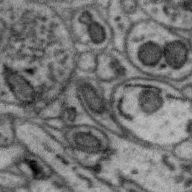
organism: Zebra finch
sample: Brain